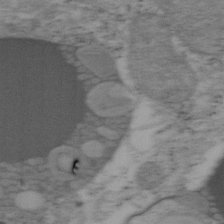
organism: Mouse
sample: OT-I killer T cells with ID8 ovarian cancer cells